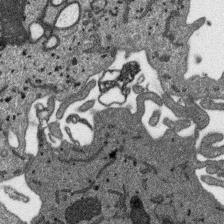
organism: Human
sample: Lung epithelial cells infected with SARS-CoV-2